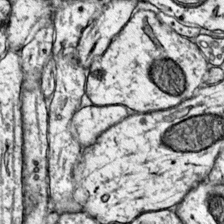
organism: Mouse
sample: Primary visual cortex